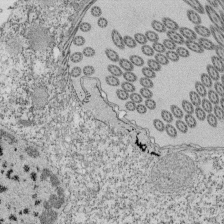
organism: Tetrahymena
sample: Cilia in tetrahymena